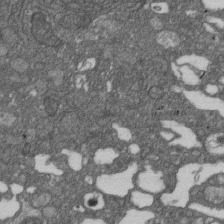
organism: Drosophila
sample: Nephrocyte